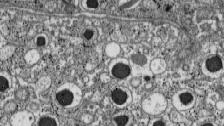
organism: C57BL Mouse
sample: Pancreatic islet